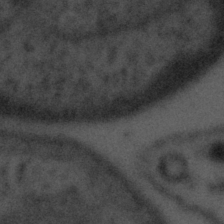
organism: Tuwongella immobilis